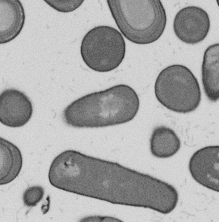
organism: B. subtilis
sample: Bacterial spore